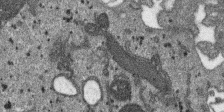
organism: Human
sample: Lung epithelial cells infected with SARS-CoV-2